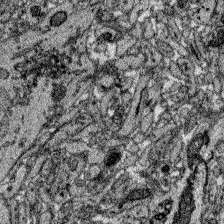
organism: Zebrafish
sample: Larval olfactory bulb